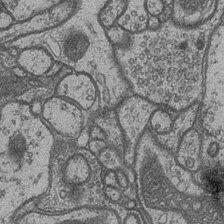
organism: Drosophila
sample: Optic medulla